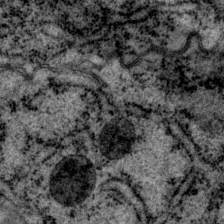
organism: P. pacificus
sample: Pharynx